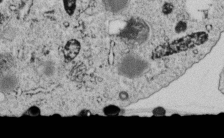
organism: C. elegans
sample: C. elegans embryo early stage